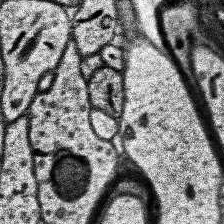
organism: Human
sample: Temporal Lobe